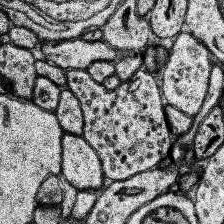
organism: Human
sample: Temporal Lobe